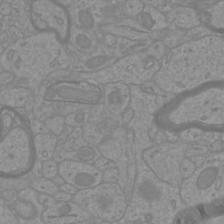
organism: Mouse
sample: Cortical neurons